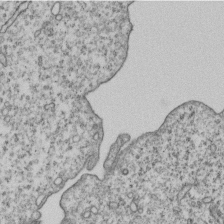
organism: Human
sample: MDA-MB-231 cells